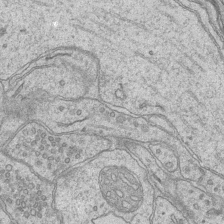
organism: Mouse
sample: CA1 Hippocampus